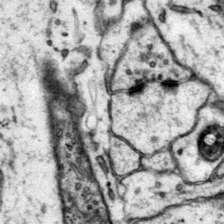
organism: Mouse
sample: Primary visual cortex